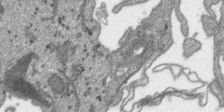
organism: Human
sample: Lung epithelial cells infected with SARS-CoV-2